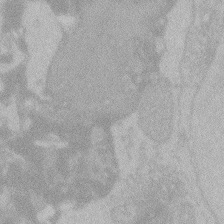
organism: Zebrafish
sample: Macrophage infected with Toxoplasma gondii